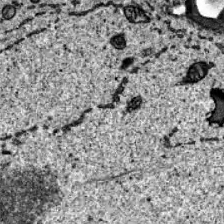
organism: Human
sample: HeLa cells